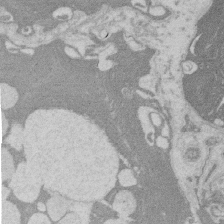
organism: Rat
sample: Salivary granule